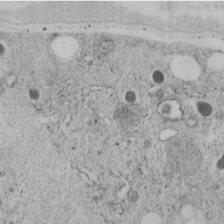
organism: C. elegans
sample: C. elegans embryo early stage